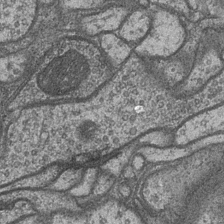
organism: Drosophila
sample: Optic medulla